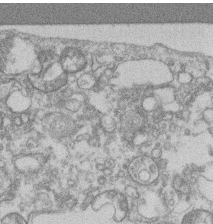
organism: Mouse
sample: T cell stromal cell synapse